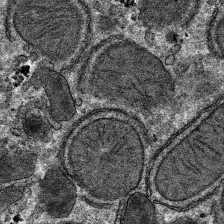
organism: Mouse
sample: Mouse hepatocytes